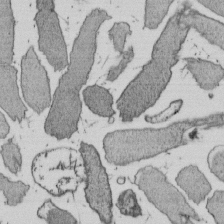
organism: E. coli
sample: Bacterial nucleoid